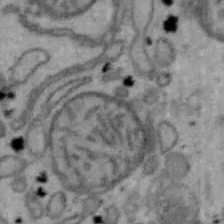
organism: Mouse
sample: Liver